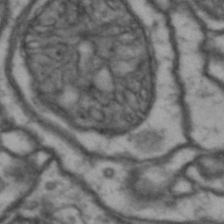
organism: Drosophila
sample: Brain